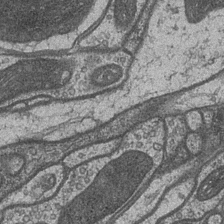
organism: Drosophila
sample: Optic medulla